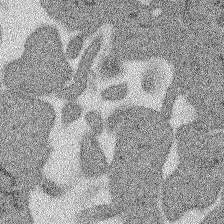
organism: Human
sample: HeLa cells